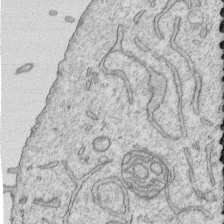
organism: Human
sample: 1205lu cells